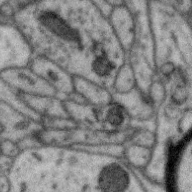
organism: Zebra finch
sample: Brain